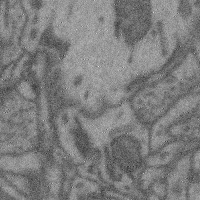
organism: Mouse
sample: Cerebral cortex